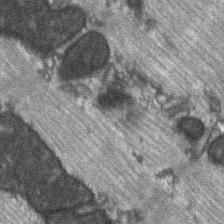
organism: C57BL Mouse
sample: Soleus